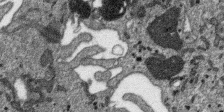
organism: Human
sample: Lung epithelial cells infected with SARS-CoV-2